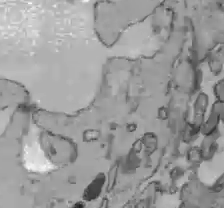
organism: C57BL Mouse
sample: Liver